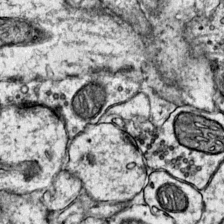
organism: Mouse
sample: Primary visual cortex